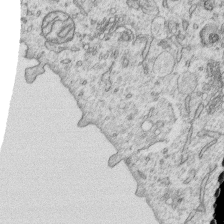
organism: Human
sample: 1205lu cells